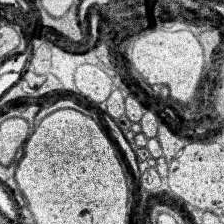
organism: Human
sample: Temporal Lobe